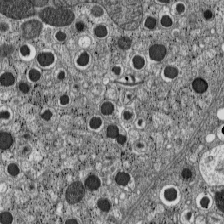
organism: C57BL Mouse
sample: Pancreatic islet